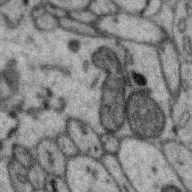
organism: Zebra finch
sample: Brain